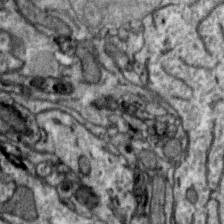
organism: Zebra finch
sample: Brain